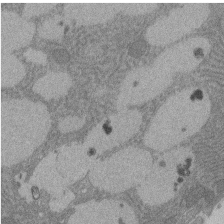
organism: Rat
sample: Salivary granule